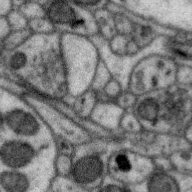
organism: Zebra finch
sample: Brain